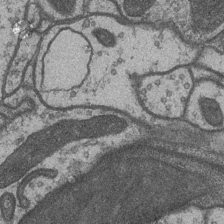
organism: Drosophila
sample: Optic medulla